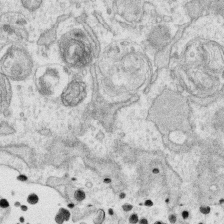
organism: Human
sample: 1205lu cells